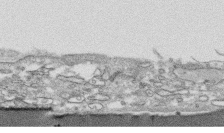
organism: Human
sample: CRL-1474